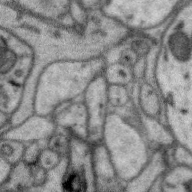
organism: Zebra finch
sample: Brain